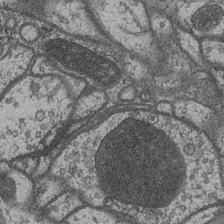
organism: Drosophila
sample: Optic medulla